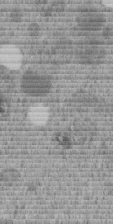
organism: C. elegans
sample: C. elegans embryo early stage